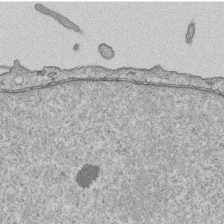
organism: Human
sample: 1205lu cells